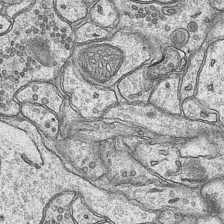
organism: Mouse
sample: CA1 Hippocampus